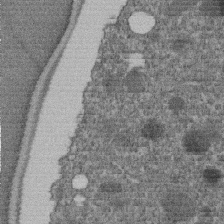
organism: C. elegans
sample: C. elegans embryo early stage